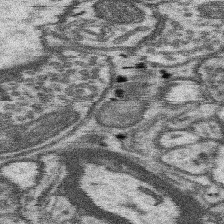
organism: Mouse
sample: Somatosensory cortex neuropil